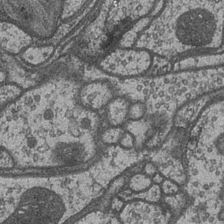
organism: Drosophila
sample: Optic medulla